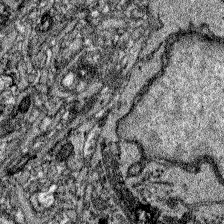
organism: Zebrafish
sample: Larval olfactory bulb